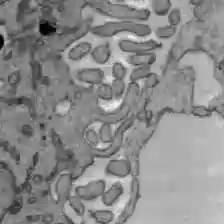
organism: C57BL Mouse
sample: Liver